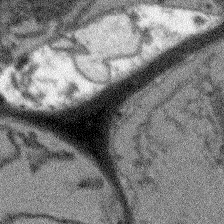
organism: Arabidopsis thaliana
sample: Root tip